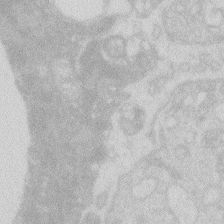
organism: Zebrafish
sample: Macrophage